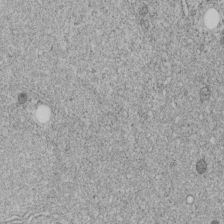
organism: C. elegans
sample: C. elegans embryo early stage